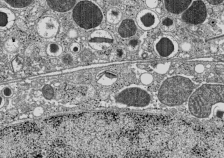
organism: C57BL Mouse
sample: Pancreatic islet